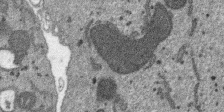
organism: Human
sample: Lung epithelial cells infected with SARS-CoV-2